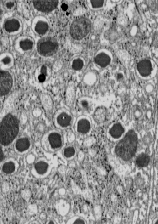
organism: C57BL Mouse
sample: Pancreatic islet